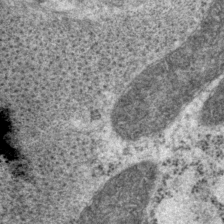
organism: P. pacificus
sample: Pharynx